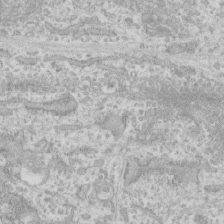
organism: Human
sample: CRL-1474